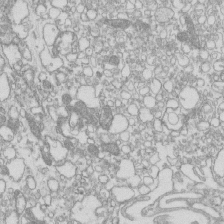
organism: Mouse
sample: Macrophages